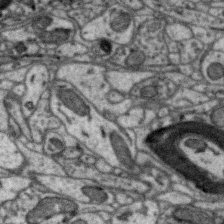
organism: Zebra finch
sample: Brain